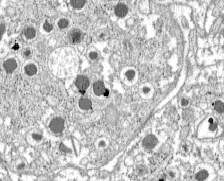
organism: C57BL Mouse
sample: Pancreatic islet